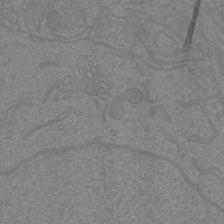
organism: Mouse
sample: Cortical neurons